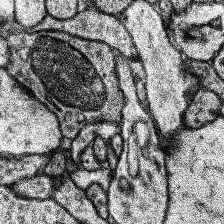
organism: Human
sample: Temporal Lobe